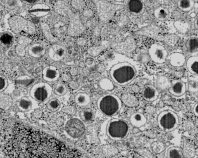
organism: C57BL Mouse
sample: Pancreatic islet